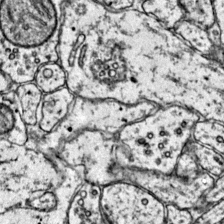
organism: Mouse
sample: Primary visual cortex